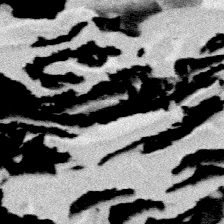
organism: Platynereis dumerilii